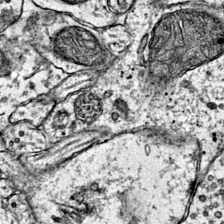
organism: Mouse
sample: Primary visual cortex